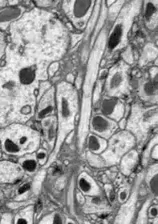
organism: Drosophila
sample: Optic lobe